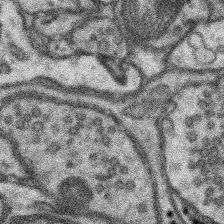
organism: Mouse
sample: Somatosensory cortex neuropil